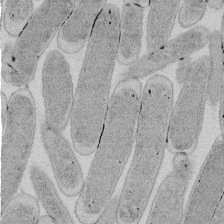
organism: E. coli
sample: Bacterial nucleoid